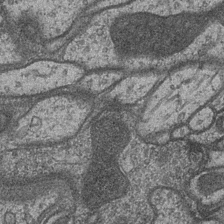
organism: Drosophila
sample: Optic medulla